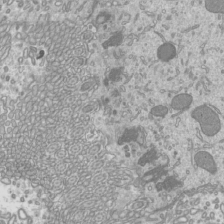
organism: Mouse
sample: Cilia; mouse epididymis